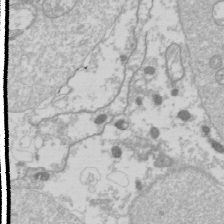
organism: Drosophila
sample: Cell division; meiosis; drosophila spermatocytes